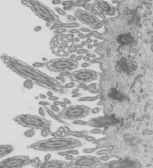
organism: Mouse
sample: Mouse epididymis efferent ductule cilia